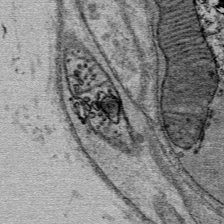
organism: Mouse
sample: Mouse Salivary gland